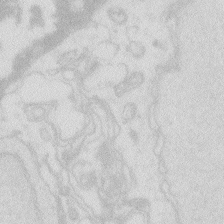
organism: Zebrafish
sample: Macrophage